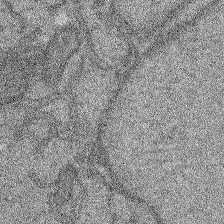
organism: Human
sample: HeLa cells